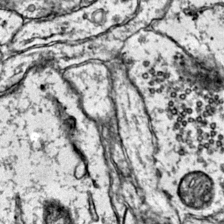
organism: Mouse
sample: Primary visual cortex